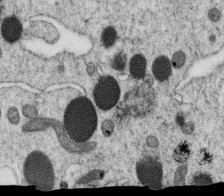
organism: C. elegans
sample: C. elegans oocyte; sperm cells